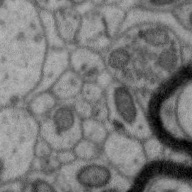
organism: Zebra finch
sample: Brain